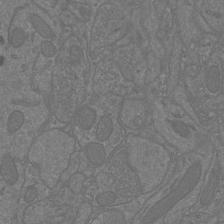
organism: Mouse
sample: Cortical neurons